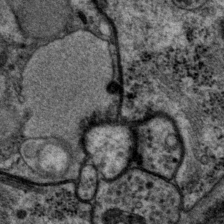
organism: P. pacificus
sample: Pharynx